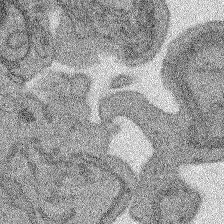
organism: Human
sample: HeLa cells